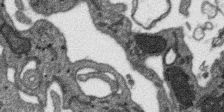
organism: Human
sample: Lung epithelial cells infected with SARS-CoV-2